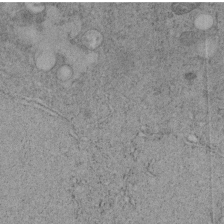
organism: C. elegans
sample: C. elegans embryo early stage